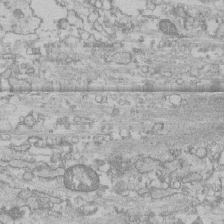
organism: Human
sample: CRL-1474